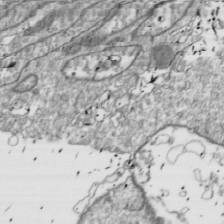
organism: Drosophila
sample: Cell division; meiosis; drosophila spermatocytes